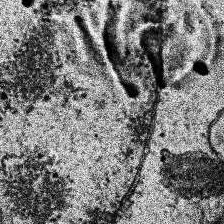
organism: Human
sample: Temporal Lobe